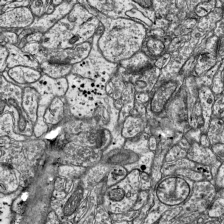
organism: Mouse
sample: Visual Cortex